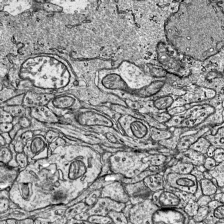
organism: Mouse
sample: Visual Cortex